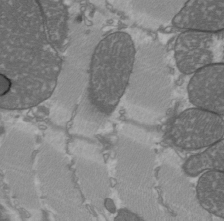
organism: C57BL Mouse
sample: Heart